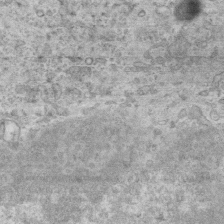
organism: Mouse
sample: Centriole in ependymal cells